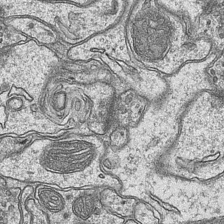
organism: Mouse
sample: CA1 Hippocampus